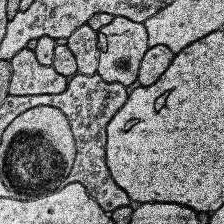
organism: Human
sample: Temporal Lobe